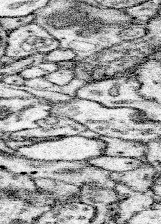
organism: Mouse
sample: Somatosensory cortex neuropil